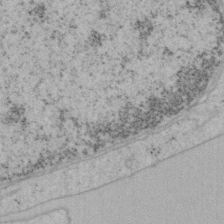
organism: Human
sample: HeLa cells